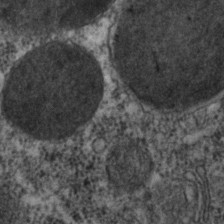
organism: C. elegans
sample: C. elegans embryo